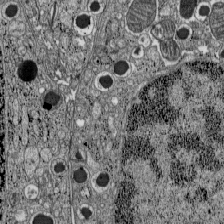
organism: C57BL Mouse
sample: Pancreatic islet